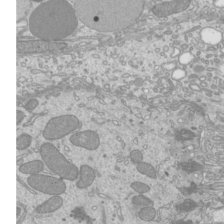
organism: Mouse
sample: Cilia; mouse epididymis